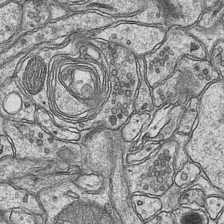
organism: Mouse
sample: CA1 Hippocampus